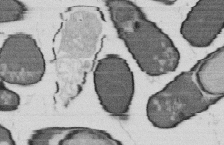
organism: B. subtilis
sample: Bacterial spore